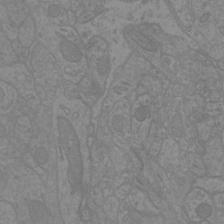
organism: Mouse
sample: Cortical neurons